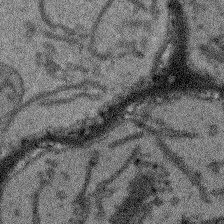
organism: Arabidopsis thaliana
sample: Root tip